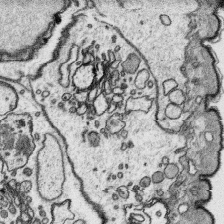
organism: Platynereis dumerilii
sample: Parapodia